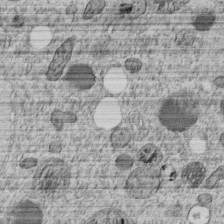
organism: C. elegans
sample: C. elegans embryo early stage